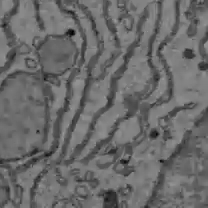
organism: C57BL Mouse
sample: Liver